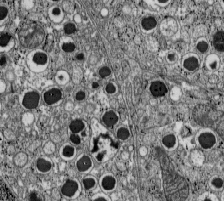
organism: C57BL Mouse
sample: Pancreatic islet